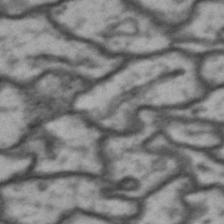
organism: Drosophila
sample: Brain